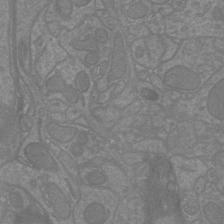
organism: Mouse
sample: Cortical neurons